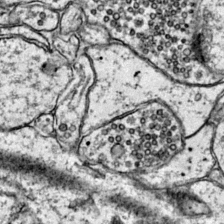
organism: Mouse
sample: Primary visual cortex